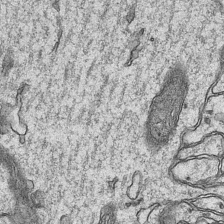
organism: Mouse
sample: CA1 Hippocampus